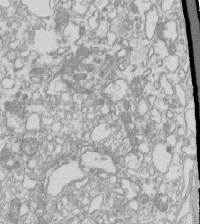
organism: Mouse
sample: Macrophages